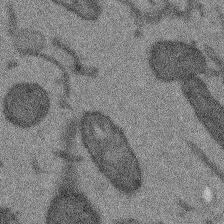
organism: Arabidopsis thaliana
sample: Root tip